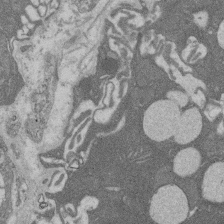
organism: Rat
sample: Salivary granule